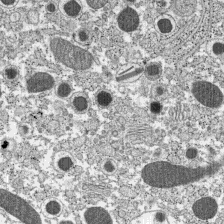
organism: C57BL Mouse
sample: Pancreatic islet